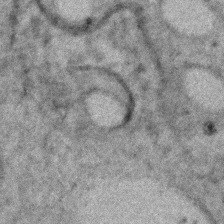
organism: C. elegans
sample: C. elegans embryo